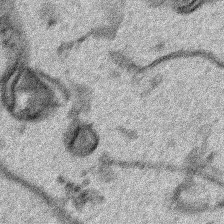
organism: Human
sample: Mitochondria in HCT116 cells